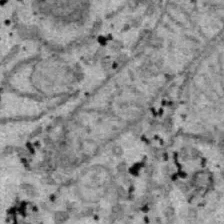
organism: Mouse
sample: Liver from an obese (ob/ob) mouse